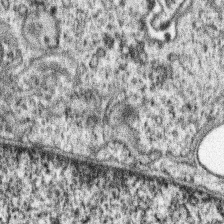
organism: Human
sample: HeLa cells